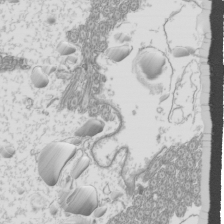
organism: Mouse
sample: Cilia; mouse epididymis